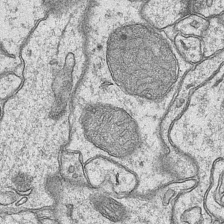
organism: Mouse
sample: CA1 Hippocampus